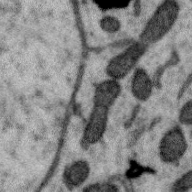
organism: Zebra finch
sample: Brain